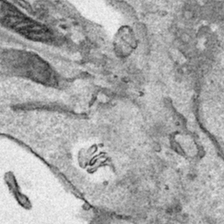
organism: Human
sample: Mitochondria in HCT116 cells